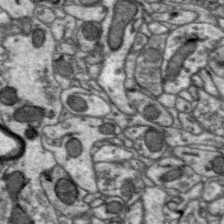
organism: Zebra finch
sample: Brain